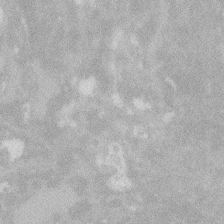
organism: Zebrafish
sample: Macrophage